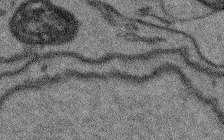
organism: Arabidopsis thaliana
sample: Root tip